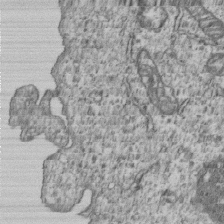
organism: Human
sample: MDA-MB-231 cells